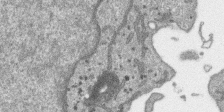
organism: Human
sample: Lung epithelial cells infected with SARS-CoV-2